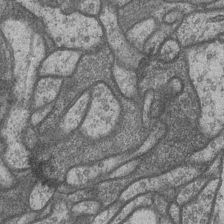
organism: Drosophila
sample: Optic medulla